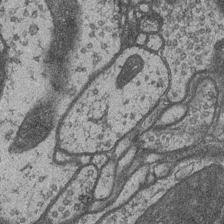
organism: Drosophila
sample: Optic medulla